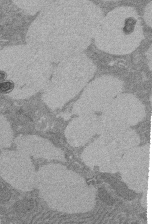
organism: Rat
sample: Salivary granule